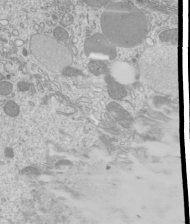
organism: Mouse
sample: Cilia; mouse epididymis